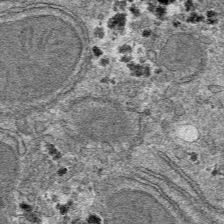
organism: Mouse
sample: Mouse hepatocytes